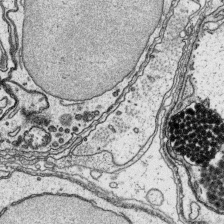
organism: Platynereis dumerilii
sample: Parapodia